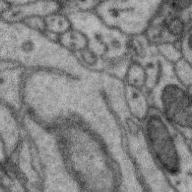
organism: Zebra finch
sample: Brain